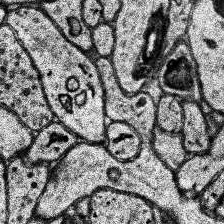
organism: Human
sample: Temporal Lobe